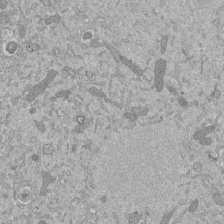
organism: Mouse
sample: ED-1 cell nuclei; centrioles